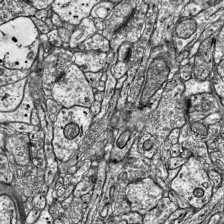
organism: Mouse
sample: Visual Cortex